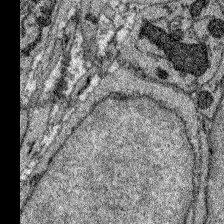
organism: Zebrafish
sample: Larval olfactory bulb